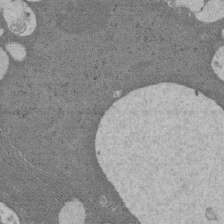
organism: Rat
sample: Salivary granule